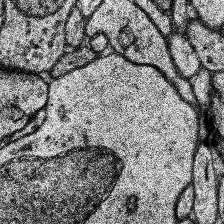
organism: Human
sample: Temporal Lobe